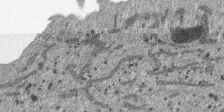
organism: Human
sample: Lung epithelial cells infected with SARS-CoV-2